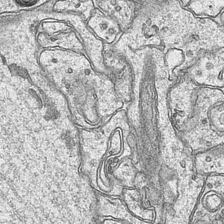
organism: Mouse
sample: CA1 Hippocampus